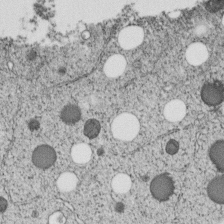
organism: C. elegans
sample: C. elegans embryo early stage